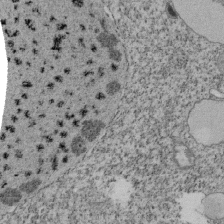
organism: Tetrahymena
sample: Cilia in tetrahymena